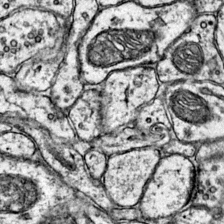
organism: Mouse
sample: Primary visual cortex